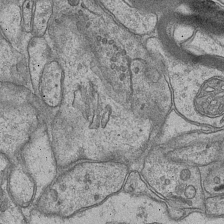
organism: Mouse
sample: CA1 Hippocampus